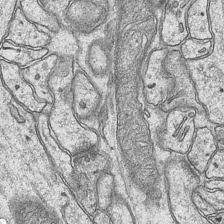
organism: Mouse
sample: CA1 Hippocampus